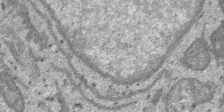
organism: Human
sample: Lung epithelial cells infected with SARS-CoV-2